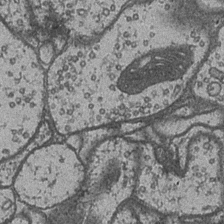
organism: Drosophila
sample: Optic medulla